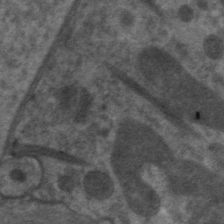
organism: C. elegans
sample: Pharynx